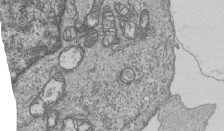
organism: Human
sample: MDA-MB-231 cells